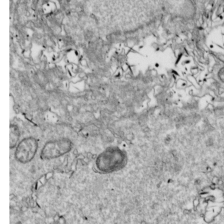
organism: Drosophila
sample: Cell division; meiosis; drosophila spermatocytes